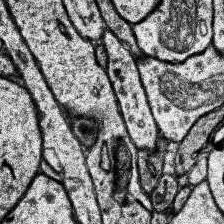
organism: Human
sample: Temporal Lobe